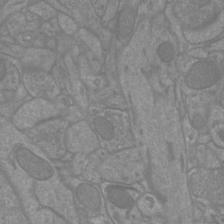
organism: Mouse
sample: Cortical neurons